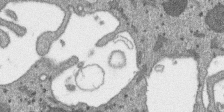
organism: Human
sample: Lung epithelial cells infected with SARS-CoV-2